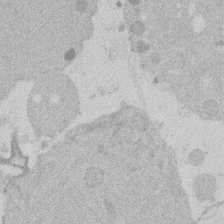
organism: Mouse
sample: Dividing mouse embryo 1 cell stage